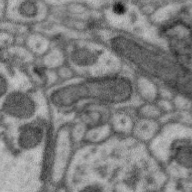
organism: Zebra finch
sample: Brain